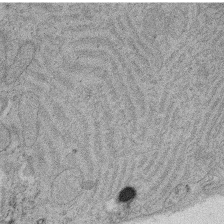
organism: Rat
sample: Salivary granule